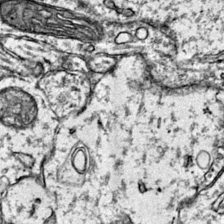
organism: Mouse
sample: Primary visual cortex